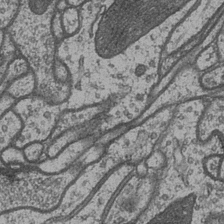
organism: Drosophila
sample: Optic medulla